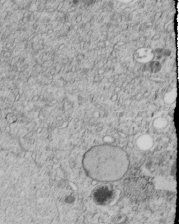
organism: C. elegans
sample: C. elegans embryo early stage